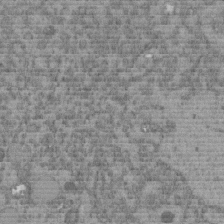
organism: C. elegans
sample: C. elegans embryo early stage